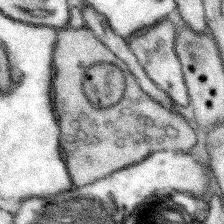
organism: Mouse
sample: Somatosensory cortex neuropil